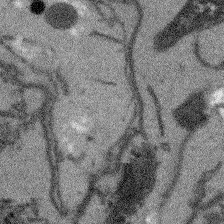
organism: Arabidopsis thaliana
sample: Root tip